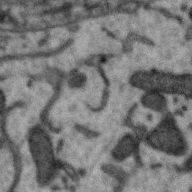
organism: Zebra finch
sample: Brain